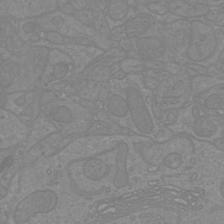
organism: Mouse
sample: Cortical neurons